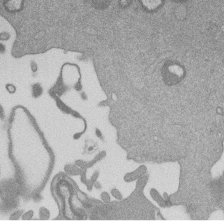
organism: Mouse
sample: Dividing mouse embryo 1 cell stage